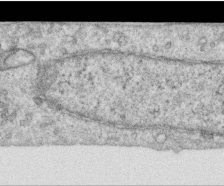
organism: Human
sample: Centriole in RPE cells